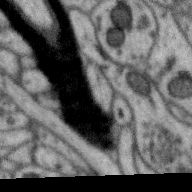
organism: Zebra finch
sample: Brain